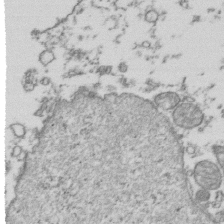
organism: Human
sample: Activated Jurkat CD4+ T cells